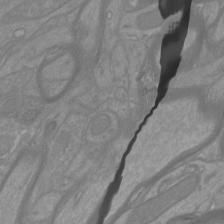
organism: Mouse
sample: Cortical neurons